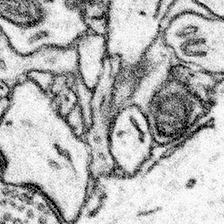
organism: Mouse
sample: Somatosensory cortex neuropil